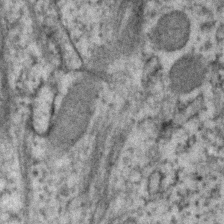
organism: Human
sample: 1205lu cells